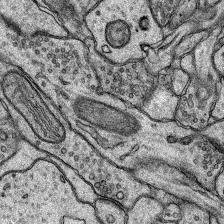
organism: Rat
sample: Hippocampus